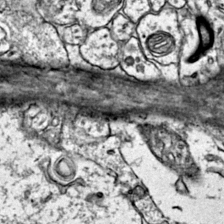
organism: Mouse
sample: Primary visual cortex